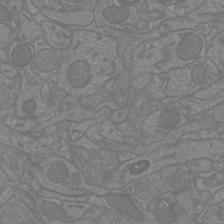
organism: Mouse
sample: Cortical neurons